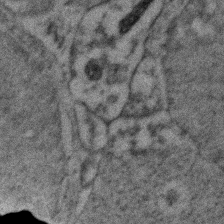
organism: Zebrafish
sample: Zebrafish embryo